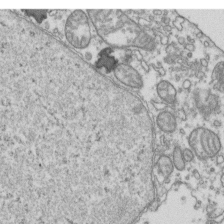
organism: Human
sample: Activated Jurkat CD4+ T cells